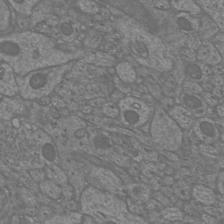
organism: Mouse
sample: Cortical neurons